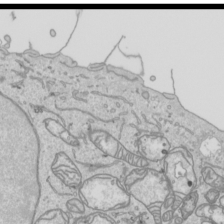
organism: Human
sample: Mitochondria in HCT116 cells